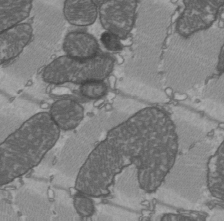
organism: C57BL Mouse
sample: Heart